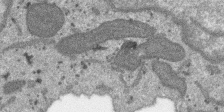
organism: Human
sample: Lung epithelial cells infected with SARS-CoV-2